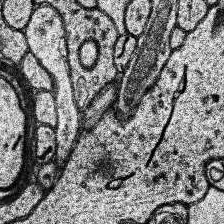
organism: Human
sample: Temporal Lobe